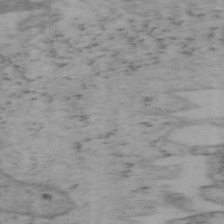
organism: Mouse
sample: OT-I killer T cells with ID8 ovarian cancer cells